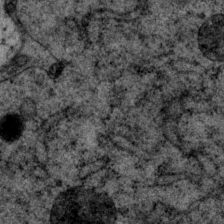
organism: P. pacificus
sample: Pharynx